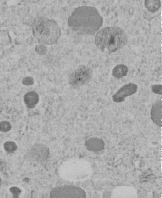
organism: C. elegans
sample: C. elegans embryo early stage